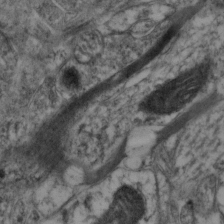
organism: Mouse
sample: Neocortex